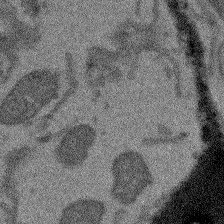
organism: Arabidopsis thaliana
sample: Root tip